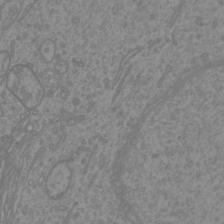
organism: Mouse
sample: Cortical neurons